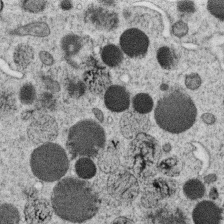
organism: C. elegans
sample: C. elegans oocyte; sperm cells